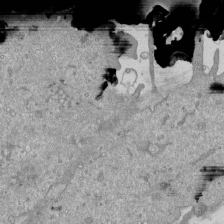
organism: Mouse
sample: ED-1 cell nuclei; centrioles